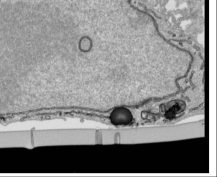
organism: Human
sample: Mitochondria in HCT116 cells